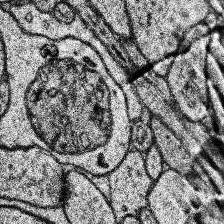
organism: Human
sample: Temporal Lobe